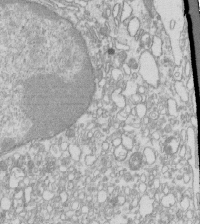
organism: Mouse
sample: Macrophages